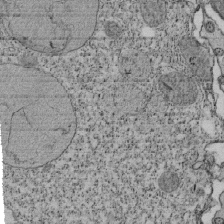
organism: Tetrahymena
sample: Cilia in tetrahymena